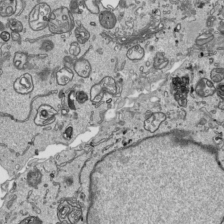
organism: Human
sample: Mitochondria in HCT116 cells